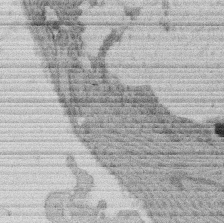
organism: Rat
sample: Salivary granule